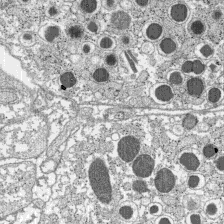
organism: C57BL Mouse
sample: Pancreatic islet